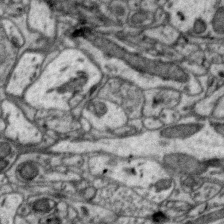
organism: Zebra finch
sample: Brain